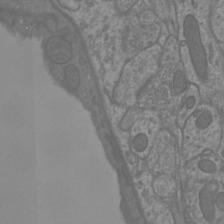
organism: Mouse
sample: Cortical neurons